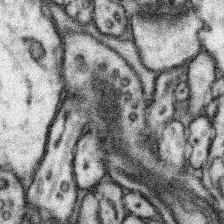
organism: Mouse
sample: Somatosensory cortex neuropil